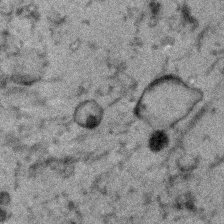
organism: Human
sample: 1205lu cells